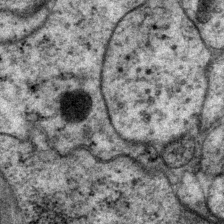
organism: P. pacificus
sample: Pharynx